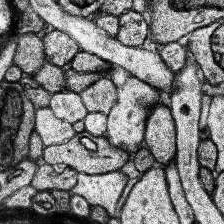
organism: Human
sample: Temporal Lobe